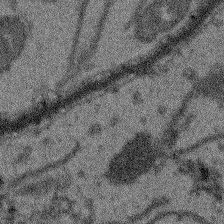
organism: Arabidopsis thaliana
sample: Root tip